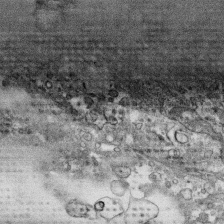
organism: Human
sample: CRL-1474